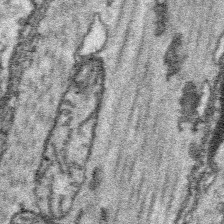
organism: Platynereis dumerilii